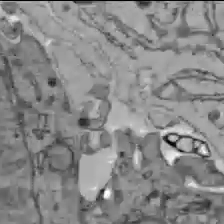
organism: C57BL Mouse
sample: Liver